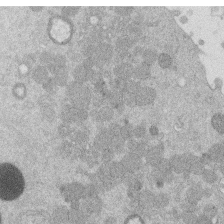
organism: Mouse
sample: Dividing mouse embryo 1 cell stage